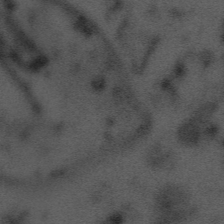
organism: Tuwongella immobilis